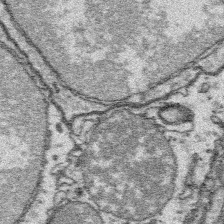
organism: Platynereis dumerilii